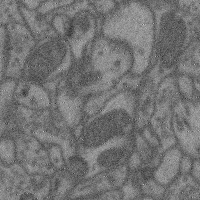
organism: Mouse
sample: Cerebral cortex